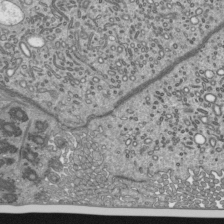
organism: Mouse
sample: Mouse epididymis efferent ductule cilia